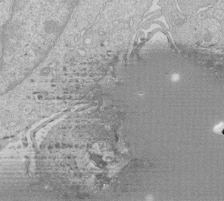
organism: Human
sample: Macrophage cells